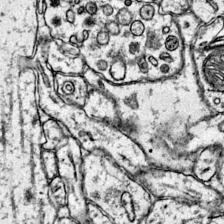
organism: Mouse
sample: Primary visual cortex